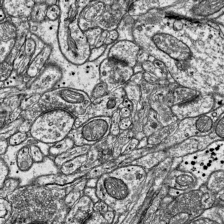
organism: Mouse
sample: Visual Cortex